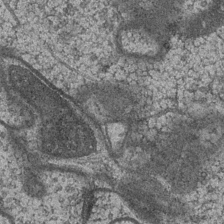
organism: Drosophila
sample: Optic medulla